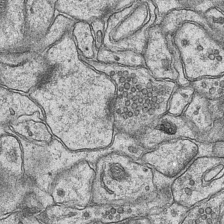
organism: Mouse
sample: CA1 Hippocampus